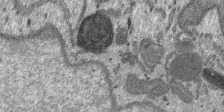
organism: Human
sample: Lung epithelial cells infected with SARS-CoV-2